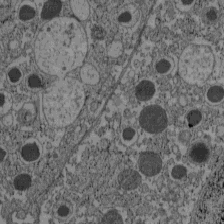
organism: C57BL Mouse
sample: Pancreatic islet